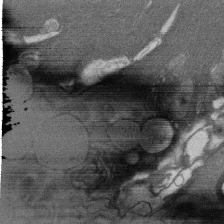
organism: Rat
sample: Salivary granule